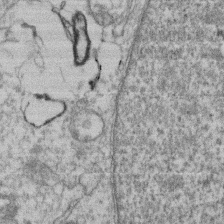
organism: Mouse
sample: T cell stromal cell synapse